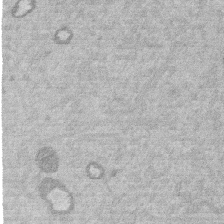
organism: Mouse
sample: Dividing mouse embryo 1 cell stage